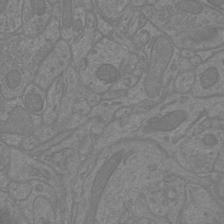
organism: Mouse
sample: Cortical neurons